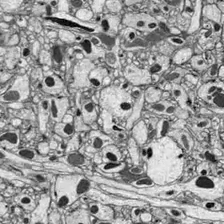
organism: Drosophila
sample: Optic lobe